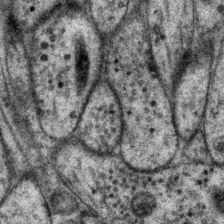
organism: P. pacificus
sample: Pharynx